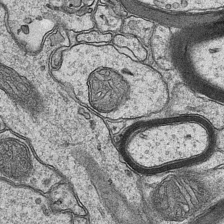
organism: Mouse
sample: CA1 Hippocampus